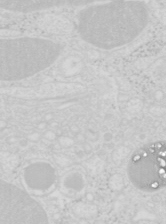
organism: Mouse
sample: Pancreas